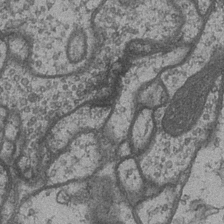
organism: Drosophila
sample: Optic medulla